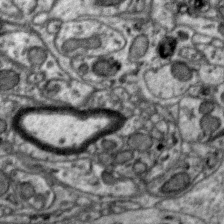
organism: Zebra finch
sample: Brain